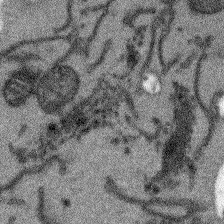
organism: Arabidopsis thaliana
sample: Root tip